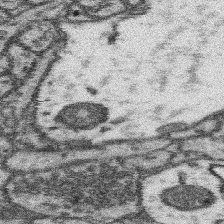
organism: Mouse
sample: Somatosensory cortex neuropil